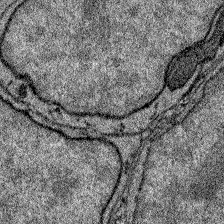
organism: Zebrafish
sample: Larval olfactory bulb